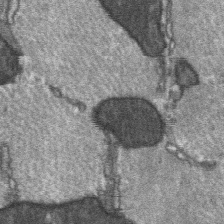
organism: C57BL Mouse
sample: Soleus